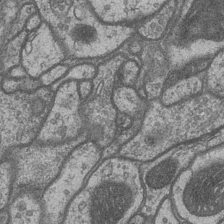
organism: Drosophila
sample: Optic medulla